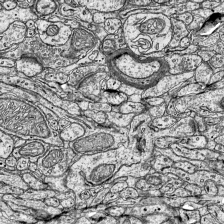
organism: Mouse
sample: Visual Cortex